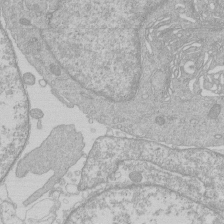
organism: Human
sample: Macrophage cells